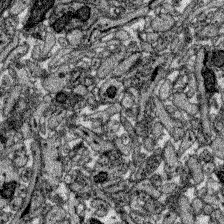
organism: Zebrafish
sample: Larval olfactory bulb